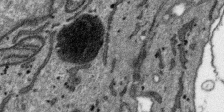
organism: Human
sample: Lung epithelial cells, uninfected (mock) control